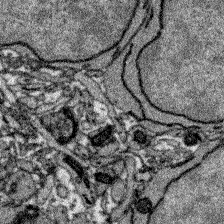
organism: Zebrafish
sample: Larval olfactory bulb